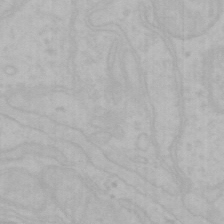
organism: Mouse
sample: Choroid plexus